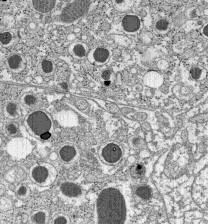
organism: C57BL Mouse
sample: Pancreatic islet